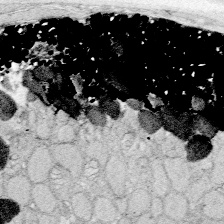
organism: Zebrafish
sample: Whole-Brain